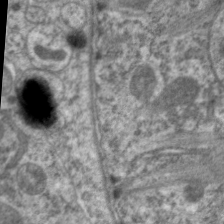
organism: C. elegans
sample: Pharynx